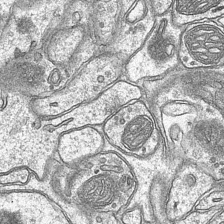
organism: Mouse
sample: CA1 Hippocampus